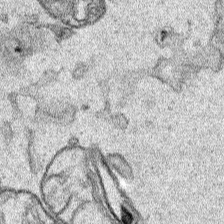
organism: Human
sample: Mitochondria in HCT116 cells